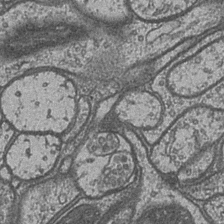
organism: Drosophila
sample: Optic medulla